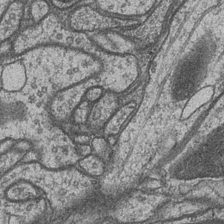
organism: Drosophila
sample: Optic medulla